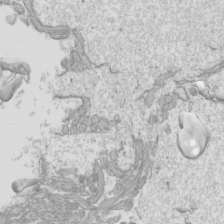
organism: Mouse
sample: Cilia; mouse epididymis